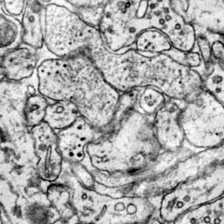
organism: Mouse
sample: Primary visual cortex